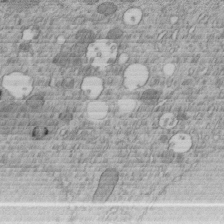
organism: C. elegans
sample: C. elegans embryo early stage